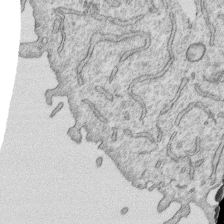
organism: Human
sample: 1205lu cells